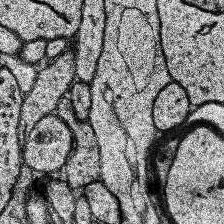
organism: Human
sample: Temporal Lobe